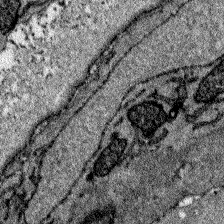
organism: Zebrafish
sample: Larval olfactory bulb